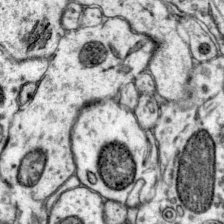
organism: Mouse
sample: Primary visual cortex